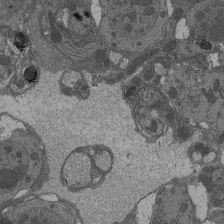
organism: Drosophila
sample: Antenna